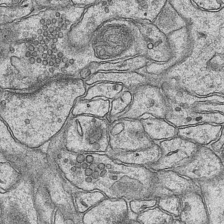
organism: Mouse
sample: CA1 Hippocampus